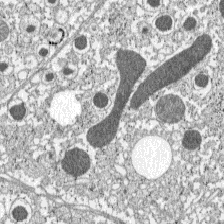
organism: C57BL Mouse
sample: Pancreatic islet